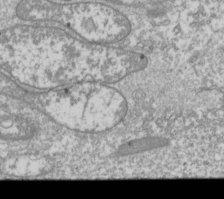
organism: Drosophila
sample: Cell division; meiosis; drosophila spermatocytes